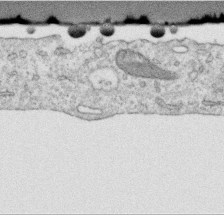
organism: Human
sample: Centriole in RPE cells